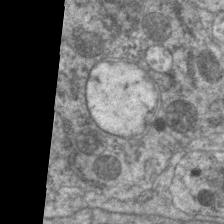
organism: C. elegans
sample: Pharynx